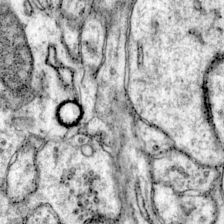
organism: Mouse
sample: Primary visual cortex